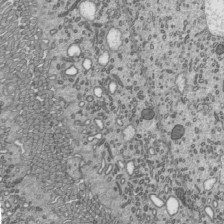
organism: Mouse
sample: Mouse epididymis efferent ductule cilia